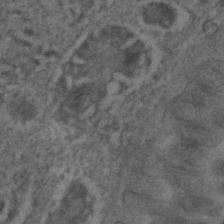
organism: C. elegans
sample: C. elegans embryo